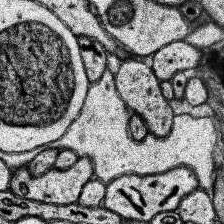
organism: Human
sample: Temporal Lobe